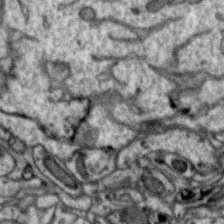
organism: Zebra finch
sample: Brain